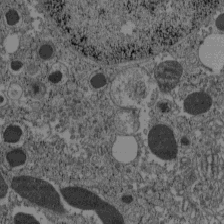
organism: C57BL Mouse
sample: Pancreatic islet